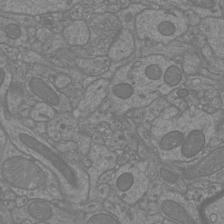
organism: Mouse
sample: Cortical neurons